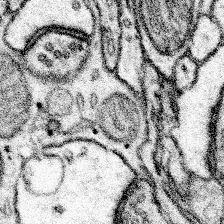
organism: Mouse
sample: Somatosensory cortex neuropil